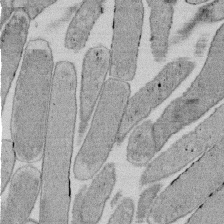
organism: E. coli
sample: Bacterial nucleoid